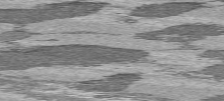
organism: C57BL Mouse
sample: Heart